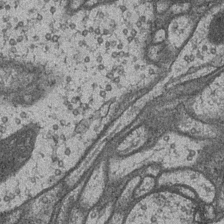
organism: Drosophila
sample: Optic medulla